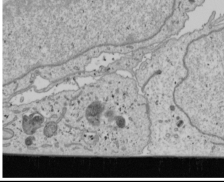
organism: Human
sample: Mitochondria in U2OS cells